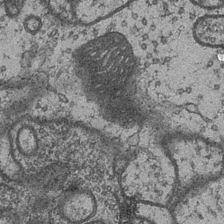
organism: Drosophila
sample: Optic medulla